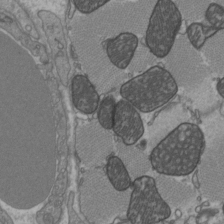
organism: C57BL Mouse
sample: Heart